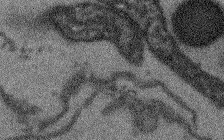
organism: Arabidopsis thaliana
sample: Root tip